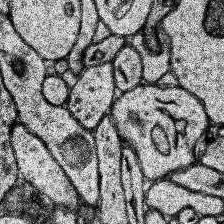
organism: Human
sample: Temporal Lobe